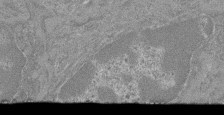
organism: Mouse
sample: Glomerulus